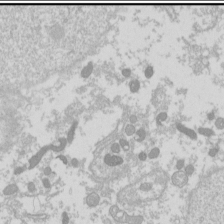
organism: Drosophila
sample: Cell division; meiosis; drosophila spermatocytes